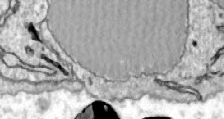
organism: Zebrafish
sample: Actinotrichia fibers